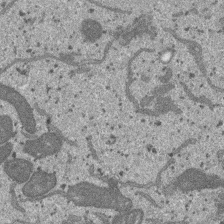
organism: Human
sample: Lung epithelial cells infected with SARS-CoV-2